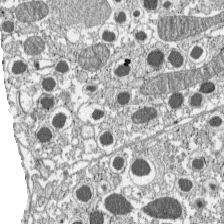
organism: C57BL Mouse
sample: Pancreatic islet